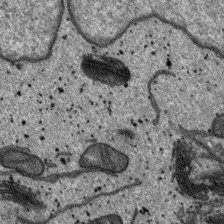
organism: Human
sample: Lung epithelial cells, uninfected (mock) control